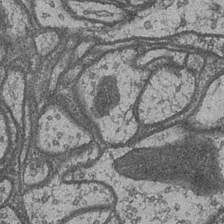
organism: Drosophila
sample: Optic medulla